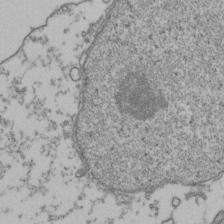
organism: Human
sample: Activated Jurkat CD4+ T cells